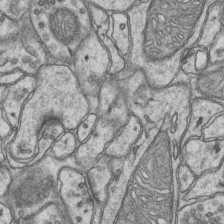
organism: Mouse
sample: CA1 Hippocampus